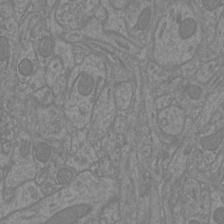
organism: Mouse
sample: Cortical neurons